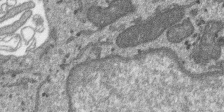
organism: Human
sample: Lung epithelial cells infected with SARS-CoV-2